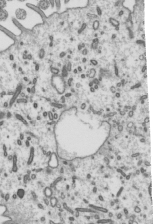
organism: Mouse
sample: Mouse epididymis efferent ductule cilia